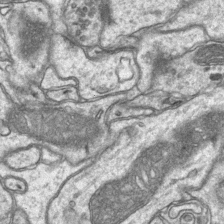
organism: Mouse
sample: CA1 Hippocampus